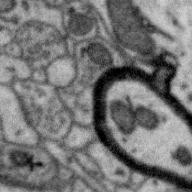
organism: Zebra finch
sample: Brain